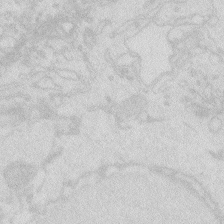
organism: Zebrafish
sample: Macrophage